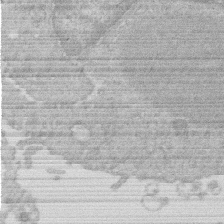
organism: Human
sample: Macrophage cells